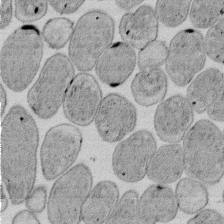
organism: E. coli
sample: Bacterial nucleoid